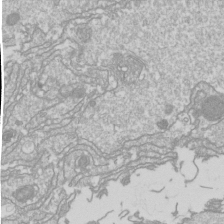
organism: Drosophila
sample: Cell division; meiosis; drosophila spermatocytes